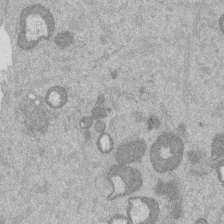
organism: Mouse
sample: Dividing mouse embryo 1 cell stage